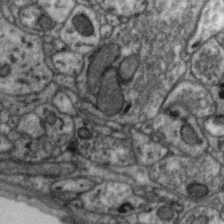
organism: Zebra finch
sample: Brain